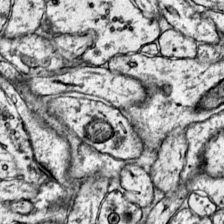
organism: Mouse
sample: Primary visual cortex